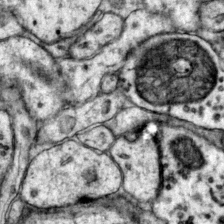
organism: Mouse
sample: Primary visual cortex